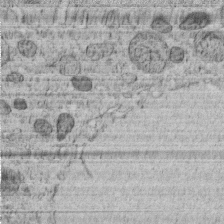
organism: C. elegans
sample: C. elegans embryo early stage